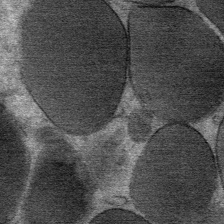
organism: Mouse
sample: Mouse Salivary gland